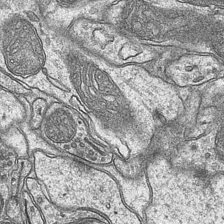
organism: Mouse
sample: CA1 Hippocampus